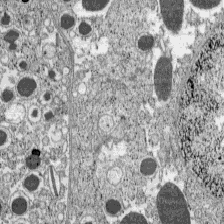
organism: C57BL Mouse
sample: Pancreatic islet